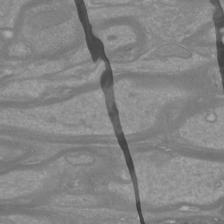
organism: Mouse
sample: Cortical neurons